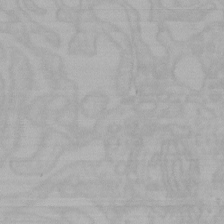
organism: Mouse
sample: Choroid plexus